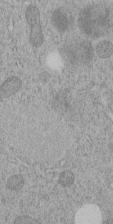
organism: C. elegans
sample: C. elegans embryo early stage